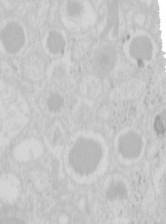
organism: Mouse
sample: Pancreas